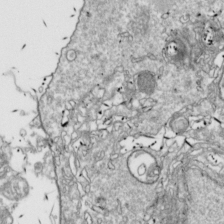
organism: Drosophila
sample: Cell division; meiosis; drosophila spermatocytes